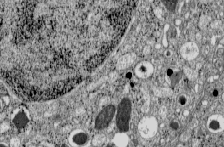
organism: C57BL Mouse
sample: Pancreatic islet